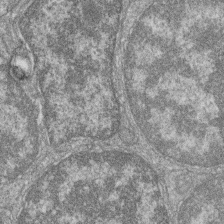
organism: Zebrafish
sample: Cilia; retinal pigment epithelium